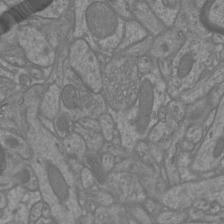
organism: Mouse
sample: Cortical neurons